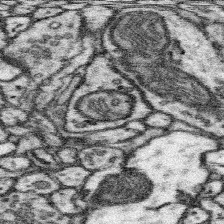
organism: Mouse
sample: Somatosensory cortex neuropil